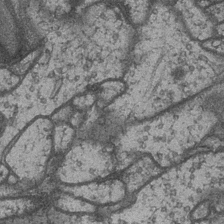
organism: Drosophila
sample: Optic medulla